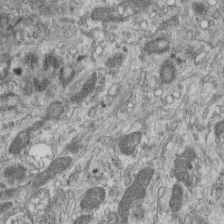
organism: Mouse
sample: Centriole in ependymal cells